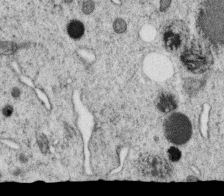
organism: C. elegans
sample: C. elegans oocyte; sperm cells